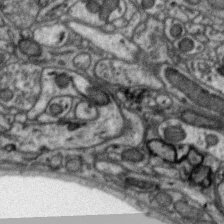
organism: Zebra finch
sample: Brain